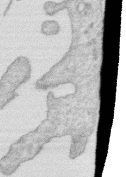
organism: Human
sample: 1205lu cells